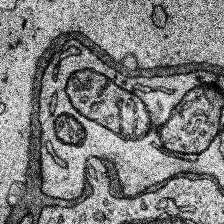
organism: Human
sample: Temporal Lobe